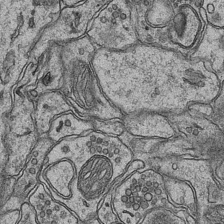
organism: Mouse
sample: CA1 Hippocampus